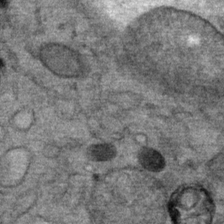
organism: Mouse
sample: Mouse Salivary gland